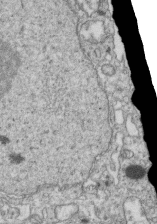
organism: Human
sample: HeLa cell HIV synapse